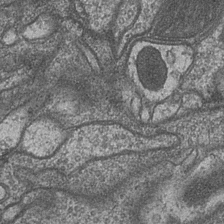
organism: Drosophila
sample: Optic medulla